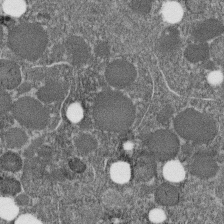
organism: C. elegans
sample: C. elegans embryo early stage